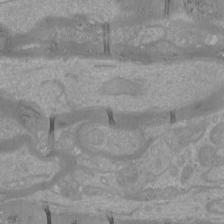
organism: Mouse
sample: Cortical neurons